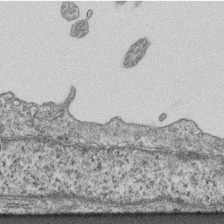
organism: Mouse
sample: Centriole in ependymal cells